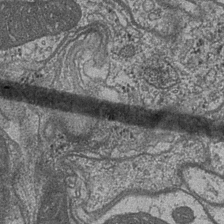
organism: Drosophila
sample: Optic medulla